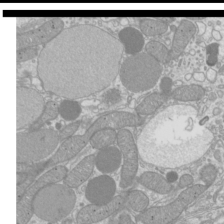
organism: Mouse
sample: Cilia; mouse epididymis